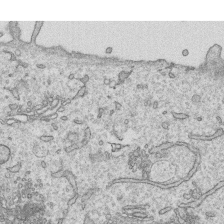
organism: Human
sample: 1205lu cells